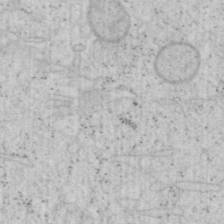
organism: Human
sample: HeLa cells